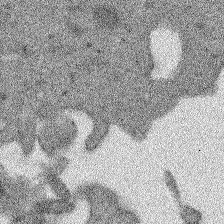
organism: Human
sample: HeLa cells